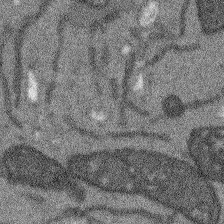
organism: Arabidopsis thaliana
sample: Root tip